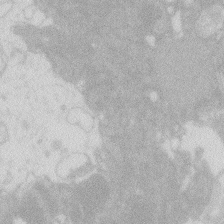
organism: Zebrafish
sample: Macrophage